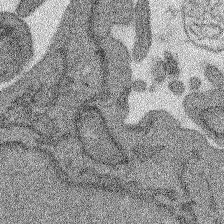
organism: Human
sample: HeLa cells